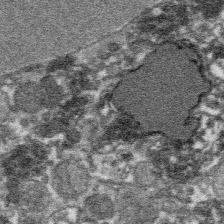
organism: Platynereis dumerilii